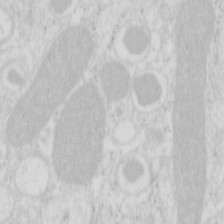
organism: Mouse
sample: Pancreas